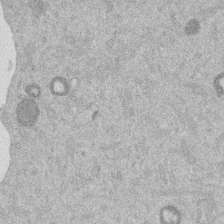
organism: Mouse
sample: Dividing mouse embryo 1 cell stage